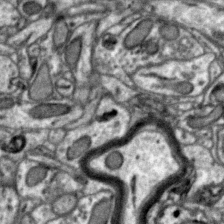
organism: Zebra finch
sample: Brain